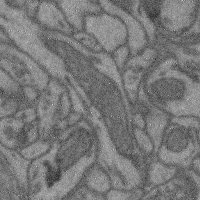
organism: Mouse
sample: Cerebral cortex